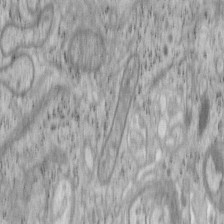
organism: Human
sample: HeLa cells